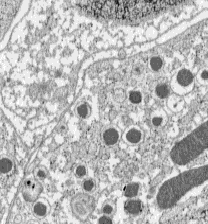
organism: C57BL Mouse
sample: Pancreatic islet